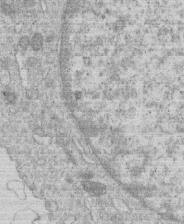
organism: Human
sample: Macrophage cells